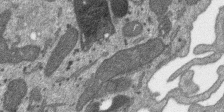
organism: Human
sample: Lung epithelial cells infected with SARS-CoV-2